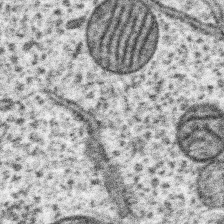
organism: Human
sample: HeLa cells